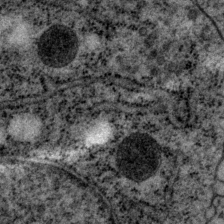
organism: P. pacificus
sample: Pharynx